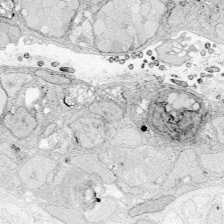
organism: Zebrafish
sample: Whole-Brain